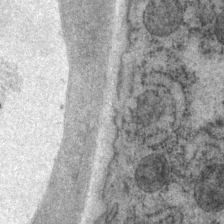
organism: P. pacificus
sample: Pharynx